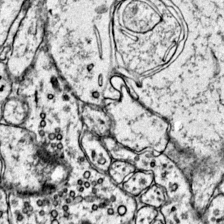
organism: Mouse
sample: Primary visual cortex